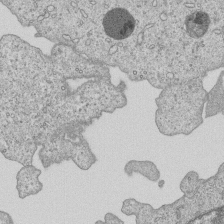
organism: Human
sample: MDA-MB-231 cells